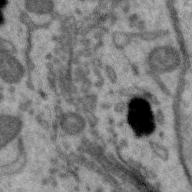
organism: Zebra finch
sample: Brain